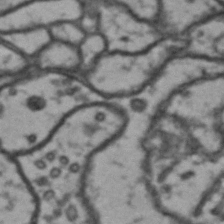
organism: Drosophila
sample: Brain